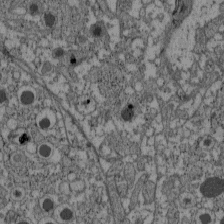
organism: C57BL Mouse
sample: Pancreatic islet